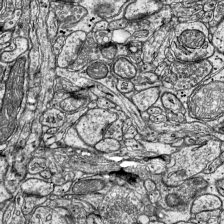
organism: Mouse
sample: Visual Cortex